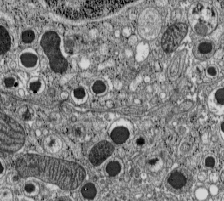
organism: C57BL Mouse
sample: Pancreatic islet